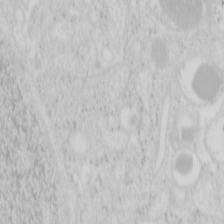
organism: Mouse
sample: Pancreas